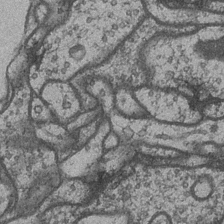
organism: Drosophila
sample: Optic medulla